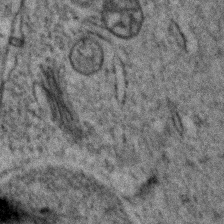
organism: Zebrafish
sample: Zebrafish embryo